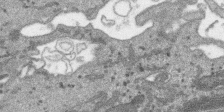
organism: Human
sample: Lung epithelial cells infected with SARS-CoV-2